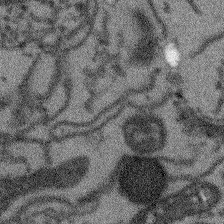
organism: Arabidopsis thaliana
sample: Root tip